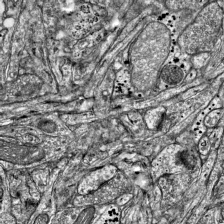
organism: Mouse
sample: Visual Cortex